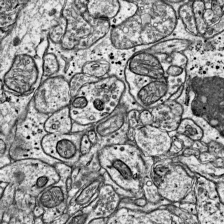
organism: Mouse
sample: Visual Cortex